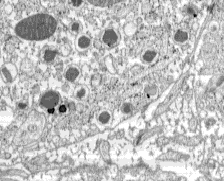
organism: C57BL Mouse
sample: Pancreatic islet